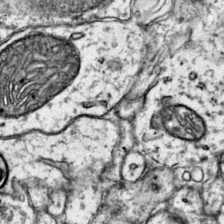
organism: Mouse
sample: Primary visual cortex